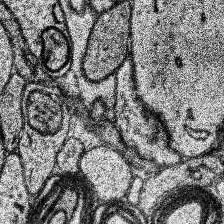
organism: Human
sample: Temporal Lobe